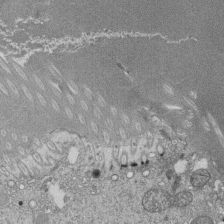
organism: Tetrahymena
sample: Cilia in tetrahymena